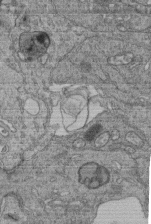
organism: Human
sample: Retinal organoid Rod and Cone cells